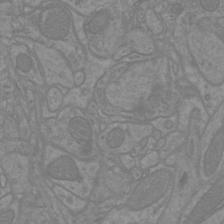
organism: Mouse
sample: Cortical neurons